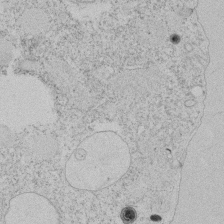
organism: Tetrahymena